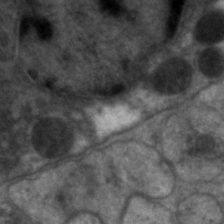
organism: C. elegans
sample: Pharynx